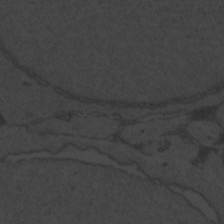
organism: Zebrafish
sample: Macrophage infected with Toxoplasma gondii